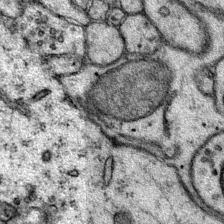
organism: Mouse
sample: Primary visual cortex